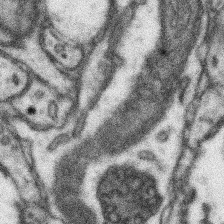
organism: Mouse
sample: Somatosensory cortex neuropil